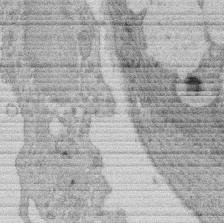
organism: Rat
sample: Salivary granule